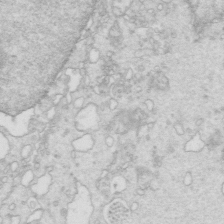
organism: Mouse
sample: Multiciliated cells